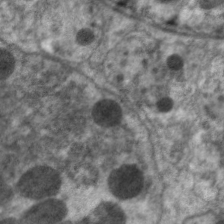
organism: C. elegans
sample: Pharynx